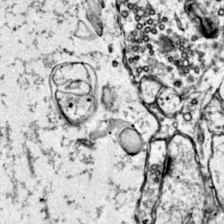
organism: Mouse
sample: Primary visual cortex